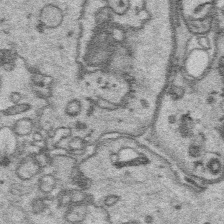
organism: Platynereis dumerilii